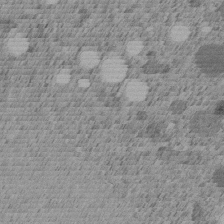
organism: C. elegans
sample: C. elegans embryo early stage